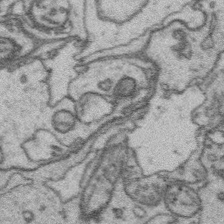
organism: Platynereis dumerilii